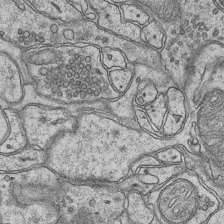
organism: Mouse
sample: CA1 Hippocampus